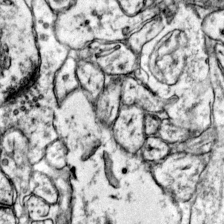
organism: Mouse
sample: Primary visual cortex